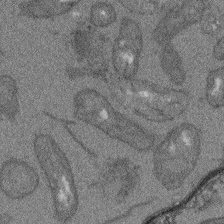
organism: Arabidopsis thaliana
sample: Root tip